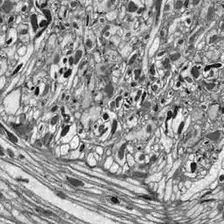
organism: Drosophila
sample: Optic lobe